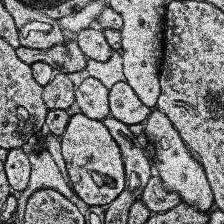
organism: Human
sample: Temporal Lobe